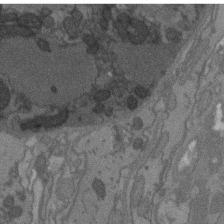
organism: C. elegans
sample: AFD neurons C. elegans